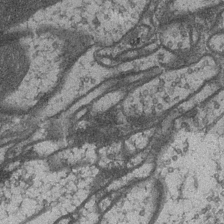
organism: Drosophila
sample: Optic medulla